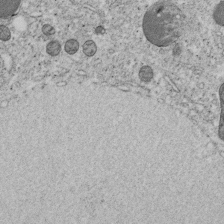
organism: C. elegans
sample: C. elegans embryo early stage